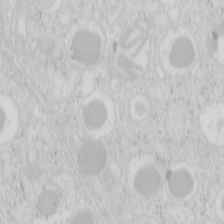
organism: Mouse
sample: Pancreas